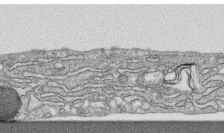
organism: Human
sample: CRL-1474